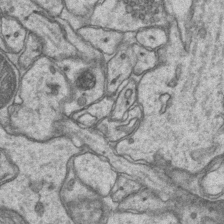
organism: Mouse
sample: CA1 Hippocampus